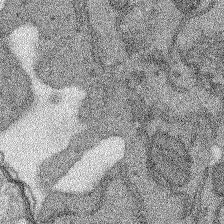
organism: Human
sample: HeLa cells